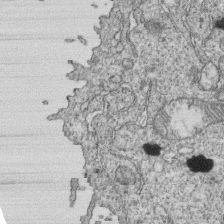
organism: Human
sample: HeLa cell HIV synapse